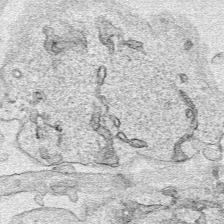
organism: Human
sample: Mitochondria in HCT116 cells